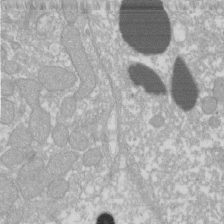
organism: Xenopus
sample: Cilia; centrioles in frog embryo cells